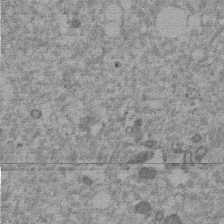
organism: Mouse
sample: Dividing mouse embryo 1 cell stage